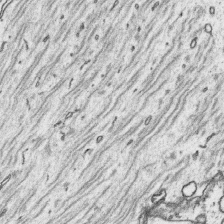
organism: Platynereis dumerilii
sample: Parapodia